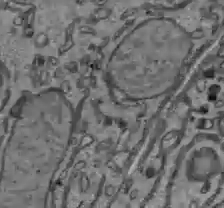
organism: C57BL Mouse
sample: Liver